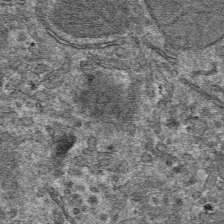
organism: Mouse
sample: Mouse hepatocytes